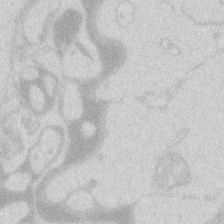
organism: Zebrafish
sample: Macrophage